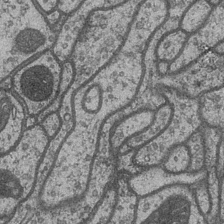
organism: Drosophila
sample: Optic medulla